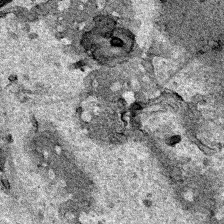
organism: Human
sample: Mitochondria in HCT116 cells